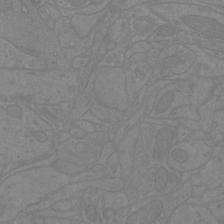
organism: Mouse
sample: Cortical neurons